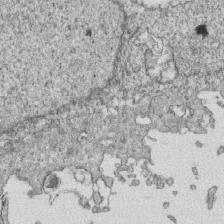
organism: Human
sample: HeLa cell HIV synapse